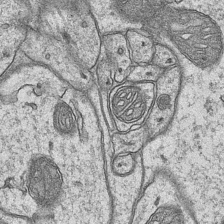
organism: Mouse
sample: CA1 Hippocampus